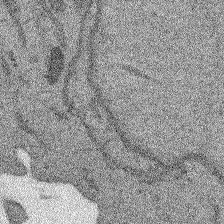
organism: Human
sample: HeLa cells